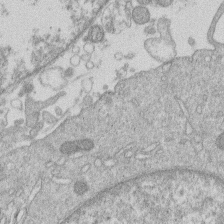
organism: Human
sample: Macrophage cells